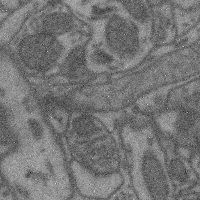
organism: Mouse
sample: Cerebral cortex